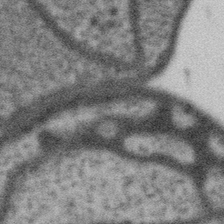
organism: Gemmata obscuriglobus